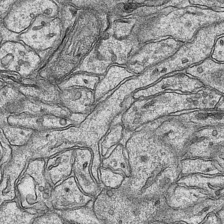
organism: Mouse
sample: CA1 Hippocampus